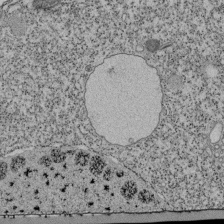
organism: Tetrahymena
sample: Cilia in tetrahymena